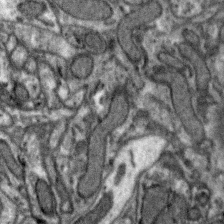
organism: Zebra finch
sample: Brain